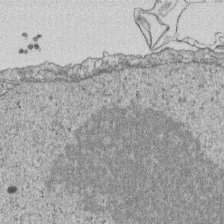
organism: Human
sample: HeLa cell HIV synapse